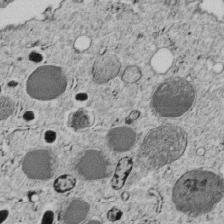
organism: C. elegans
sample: C. elegans embryo early stage